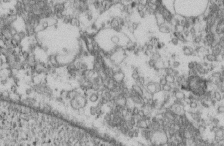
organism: Mouse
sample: Cilia; retinal pigment epithelium